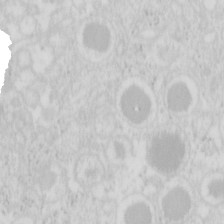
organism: Mouse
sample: Pancreas